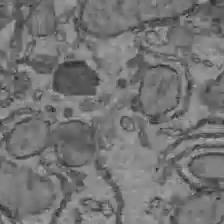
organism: C57BL Mouse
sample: Liver